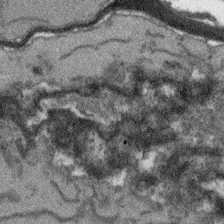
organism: Arabidopsis thaliana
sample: Root tip